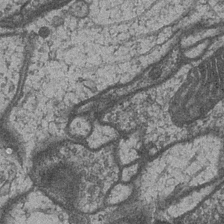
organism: Drosophila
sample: Optic medulla